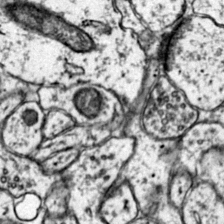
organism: Mouse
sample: Primary visual cortex